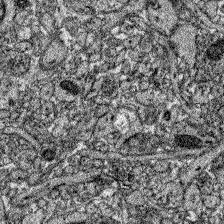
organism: Zebrafish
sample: Larval olfactory bulb